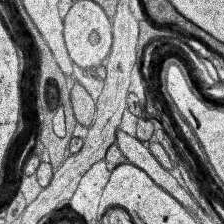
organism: Human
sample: Temporal Lobe